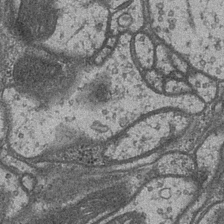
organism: Drosophila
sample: Optic medulla